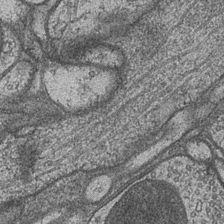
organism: Drosophila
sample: Optic medulla